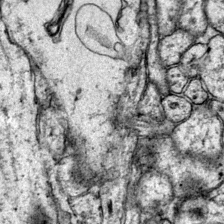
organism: Mouse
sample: Primary visual cortex